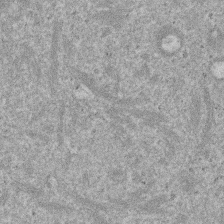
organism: Mouse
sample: Dividing mouse embryo 1 cell stage